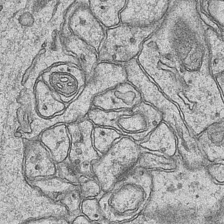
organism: Mouse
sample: CA1 Hippocampus